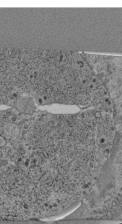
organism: C. elegans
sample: C. elegans pharynx